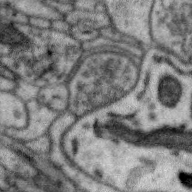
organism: Zebra finch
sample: Brain